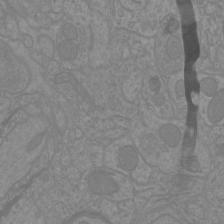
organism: Mouse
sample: Cortical neurons